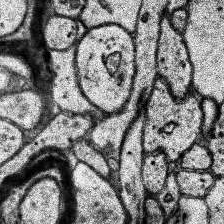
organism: Human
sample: Temporal Lobe